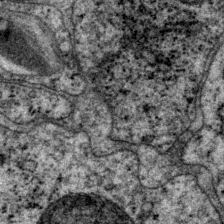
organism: P. pacificus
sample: Pharynx